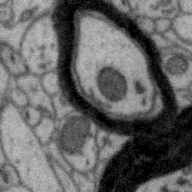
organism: Zebra finch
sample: Brain